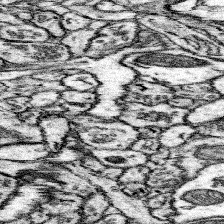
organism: Mouse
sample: Somatosensory cortex neuropil